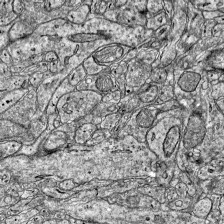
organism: Mouse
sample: Visual Cortex